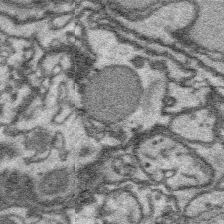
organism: Platynereis dumerilii